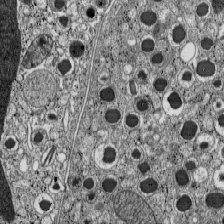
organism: C57BL Mouse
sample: Pancreatic islet